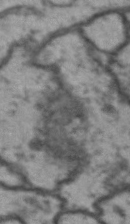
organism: Drosophila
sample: Brain